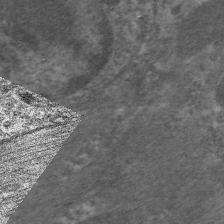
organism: C. elegans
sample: Pharynx